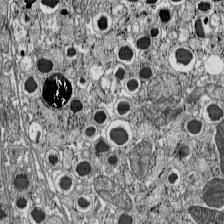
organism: C57BL Mouse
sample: Pancreatic islet